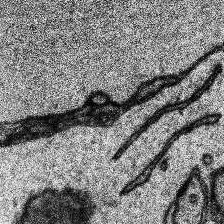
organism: Human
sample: Temporal Lobe